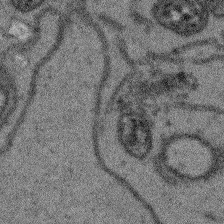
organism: Arabidopsis thaliana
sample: Root tip